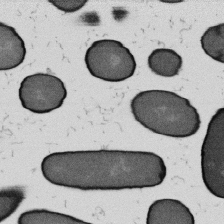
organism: B. subtilis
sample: Bacterial spore